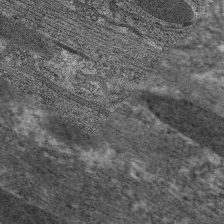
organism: C. elegans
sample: Pharynx